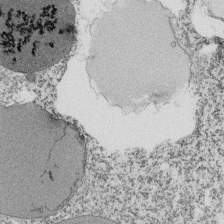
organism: Tetrahymena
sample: Cilia in tetrahymena